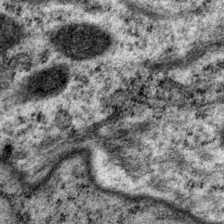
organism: P. pacificus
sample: Pharynx